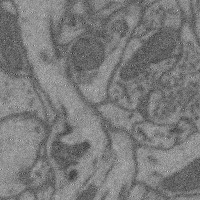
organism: Mouse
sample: Cerebral cortex